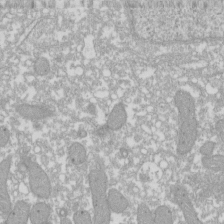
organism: Xenopus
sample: Cilia; centrioles in frog embryo cells